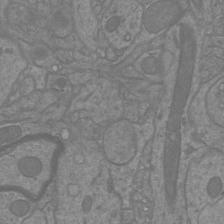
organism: Mouse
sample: Cortical neurons